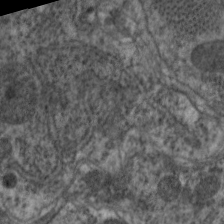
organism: C. elegans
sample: Pharynx